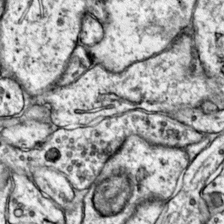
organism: Mouse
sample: Primary visual cortex